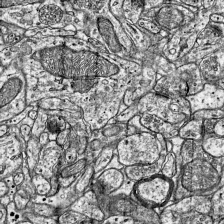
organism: Mouse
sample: Visual Cortex